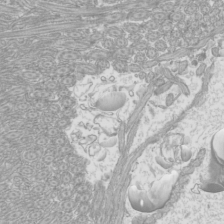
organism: Mouse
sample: Cilia; mouse epididymis